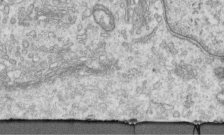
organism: Human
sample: Centriole in RPE cells